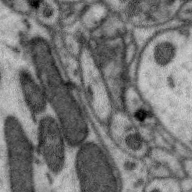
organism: Zebra finch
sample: Brain